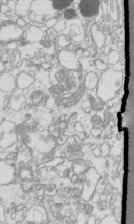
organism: Mouse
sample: Macrophages